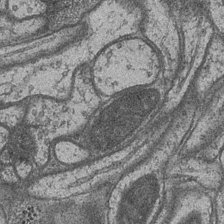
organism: Drosophila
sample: Optic medulla